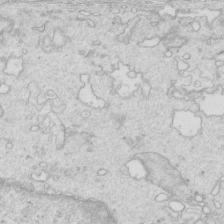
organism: Mouse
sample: Multiciliated cells